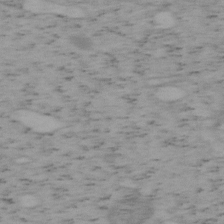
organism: Mouse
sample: OT-I killer T cells with ID8 ovarian cancer cells